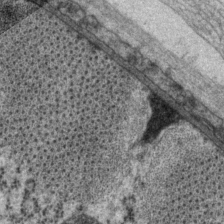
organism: P. pacificus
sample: Pharynx